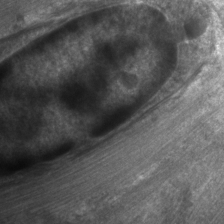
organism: C. elegans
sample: Pharynx